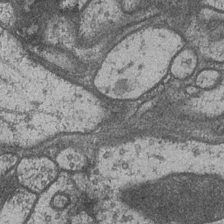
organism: Drosophila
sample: Optic medulla